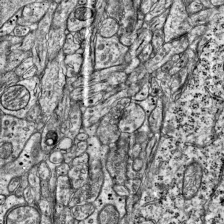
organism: Mouse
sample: Visual Cortex